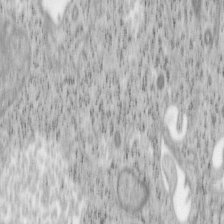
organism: Human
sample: HeLa cells